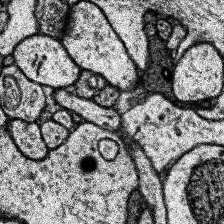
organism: Human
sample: Temporal Lobe